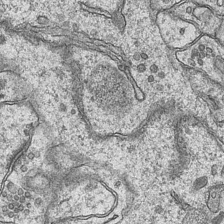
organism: Mouse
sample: CA1 Hippocampus